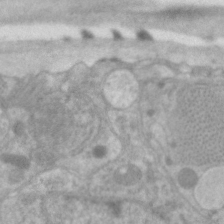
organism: C. elegans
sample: Pharynx